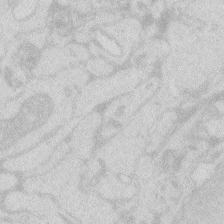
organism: Zebrafish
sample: Macrophage